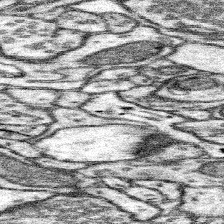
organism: Mouse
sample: Somatosensory cortex neuropil